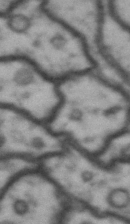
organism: Drosophila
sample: Brain